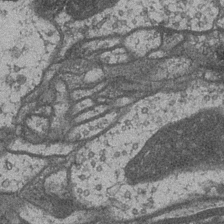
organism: Drosophila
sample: Optic medulla